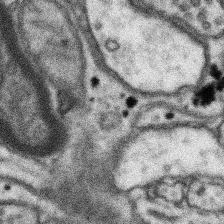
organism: Mouse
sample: Somatosensory cortex neuropil